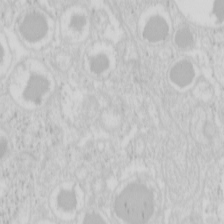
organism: Mouse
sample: Pancreas